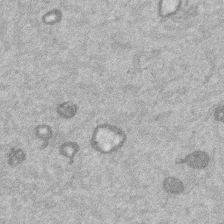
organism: Mouse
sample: Dividing mouse embryo 1 cell stage